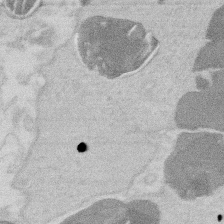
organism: Mouse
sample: T cell stromal cell synapse